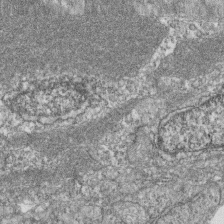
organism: Zebrafish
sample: Cilia; retinal pigment epithelium